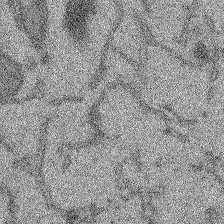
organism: Human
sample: HeLa cells